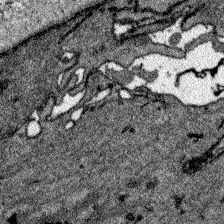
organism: Zebrafish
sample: Larval olfactory bulb